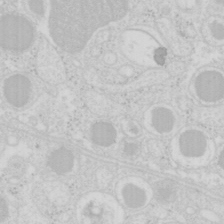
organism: Mouse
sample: Pancreas